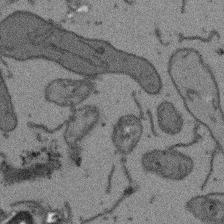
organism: Arabidopsis thaliana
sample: Root tip